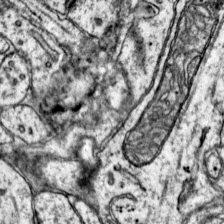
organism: Mouse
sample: Primary visual cortex